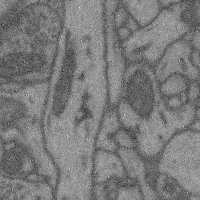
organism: Mouse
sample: Cerebral cortex